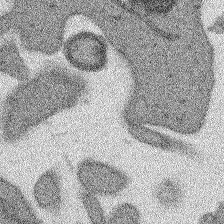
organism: Human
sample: HeLa cells